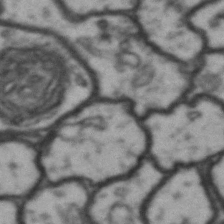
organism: Drosophila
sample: Brain